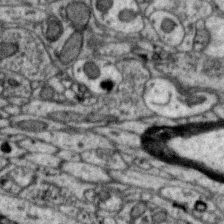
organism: Zebra finch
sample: Brain